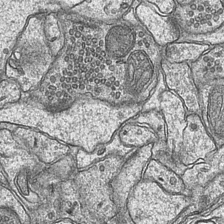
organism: Mouse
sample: CA1 Hippocampus